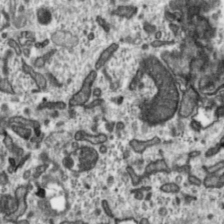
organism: Toxoplasma gondii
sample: Parasites in a vacuole inside a host cell